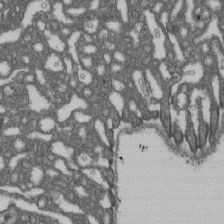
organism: Drosophila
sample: Nephrocyte